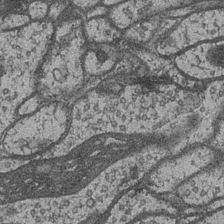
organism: Drosophila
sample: Optic medulla